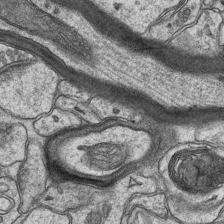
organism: Mouse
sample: CA1 Hippocampus